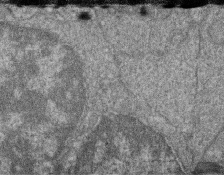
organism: Zebrafish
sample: Cilia; retinal pigment epithelium